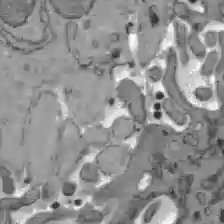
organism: C57BL Mouse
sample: Liver